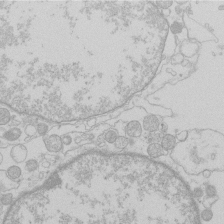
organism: Human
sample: Macrophage cells